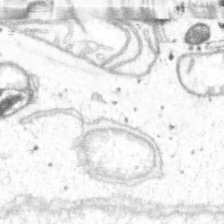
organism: Human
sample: HeLa cells